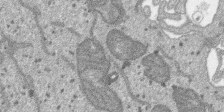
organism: Human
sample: Lung epithelial cells infected with SARS-CoV-2